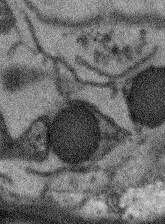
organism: Arabidopsis thaliana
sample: Root tip